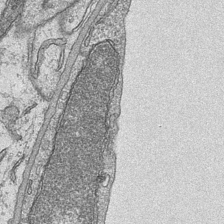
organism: Mouse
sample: CA1 Hippocampus